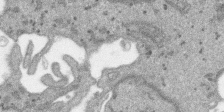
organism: Human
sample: Lung epithelial cells infected with SARS-CoV-2